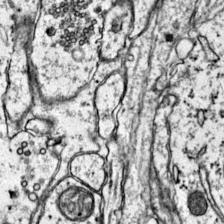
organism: Mouse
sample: Primary visual cortex